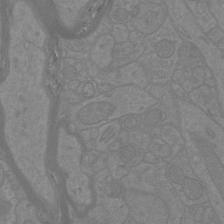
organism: Mouse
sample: Cortical neurons